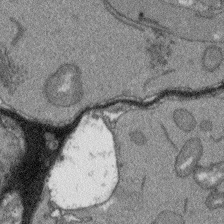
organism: Arabidopsis thaliana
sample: Root tip